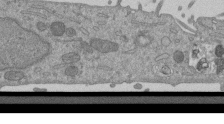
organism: Mouse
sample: ED-1 cell nuclei; centrioles